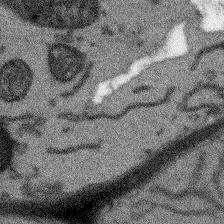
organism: Arabidopsis thaliana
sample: Root tip